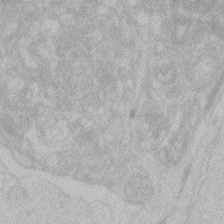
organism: Zebrafish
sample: Macrophage infected with Toxoplasma gondii